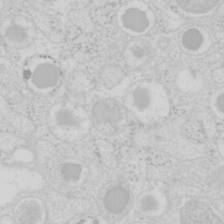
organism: Mouse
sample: Pancreas